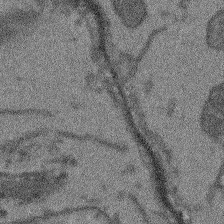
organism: Arabidopsis thaliana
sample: Root tip